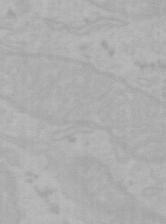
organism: Mouse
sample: Choroid plexus